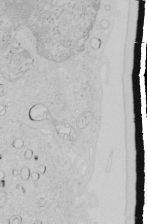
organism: Human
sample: Mitochondria in HCT116 cells